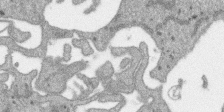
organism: Human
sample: Lung epithelial cells infected with SARS-CoV-2